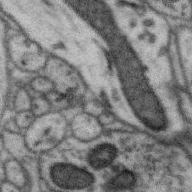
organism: Zebra finch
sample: Brain